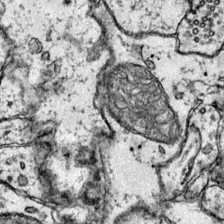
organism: Mouse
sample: Primary visual cortex